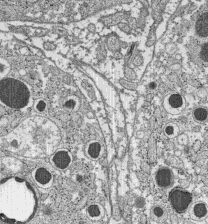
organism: C57BL Mouse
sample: Pancreatic islet